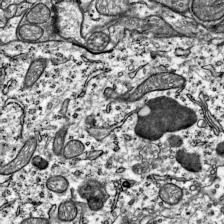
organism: Mouse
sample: Visual Cortex